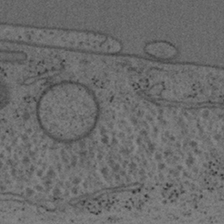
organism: Human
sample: HeLa cells